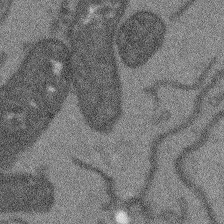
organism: Arabidopsis thaliana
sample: Root tip